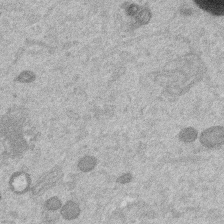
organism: Mouse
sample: Dividing mouse embryo 1 cell stage